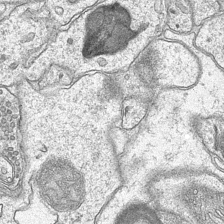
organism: Mouse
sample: CA1 Hippocampus